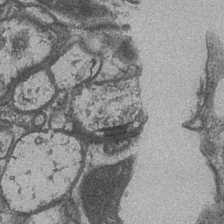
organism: Drosophila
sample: Optic medulla